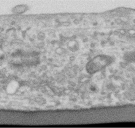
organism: Human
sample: Centriole in RPE cells